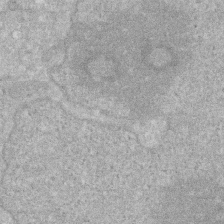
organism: Human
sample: HIV infected U937 cells